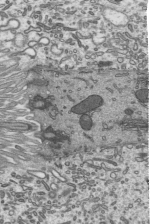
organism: Mouse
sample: Mouse epididymis efferent ductule cilia